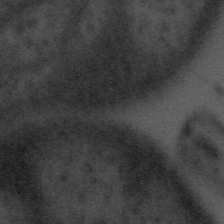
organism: Tuwongella immobilis